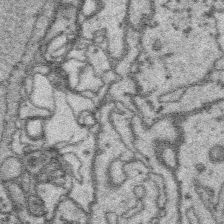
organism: Platynereis dumerilii